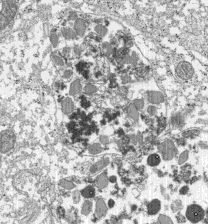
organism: C57BL Mouse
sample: Pancreatic islet